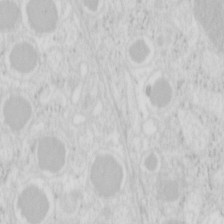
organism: Mouse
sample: Pancreas